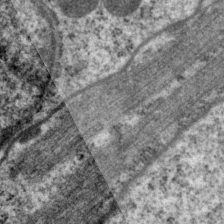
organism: P. pacificus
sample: Pharynx